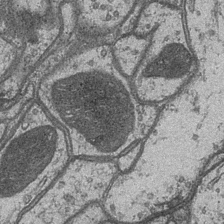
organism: Drosophila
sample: Optic medulla